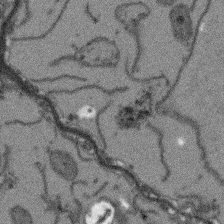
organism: Arabidopsis thaliana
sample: Root tip